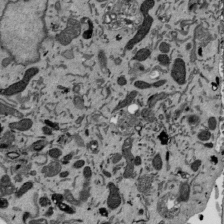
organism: Mouse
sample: ED-1 cell nuclei; centrioles